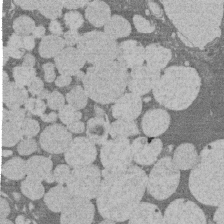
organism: Rat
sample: Salivary granule